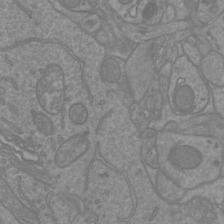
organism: Mouse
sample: Cortical neurons